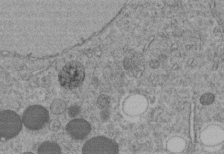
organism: C. elegans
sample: C. elegans embryo early stage